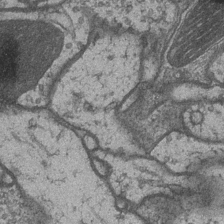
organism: Drosophila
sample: Optic medulla